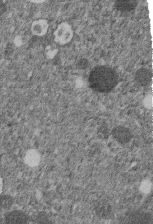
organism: C. elegans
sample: C. elegans embryo early stage